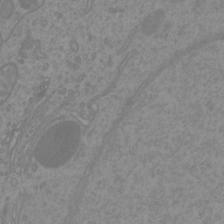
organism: Mouse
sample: Cortical neurons